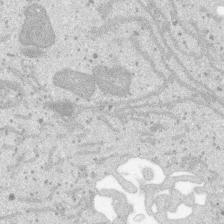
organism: Human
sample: Lung epithelial cells infected with SARS-CoV-2